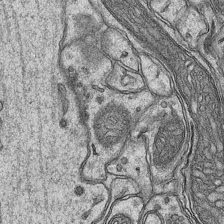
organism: Mouse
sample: CA1 Hippocampus